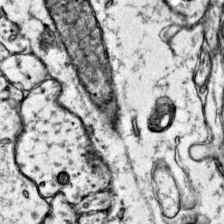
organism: Mouse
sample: Primary visual cortex